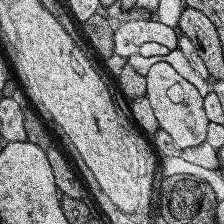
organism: Human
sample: Temporal Lobe